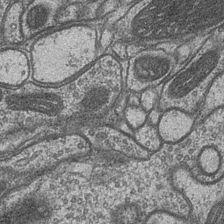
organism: Drosophila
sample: Optic medulla